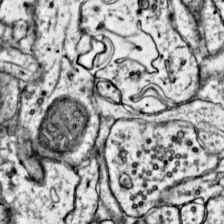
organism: Mouse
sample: Primary visual cortex